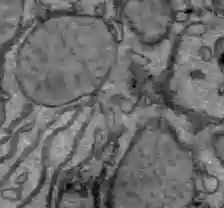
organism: C57BL Mouse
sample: Liver